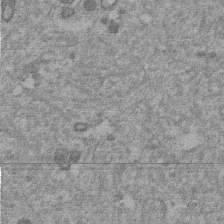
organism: Mouse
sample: Dividing mouse embryo 1 cell stage